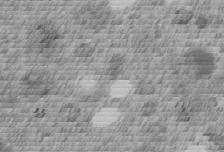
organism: C. elegans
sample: C. elegans embryo early stage